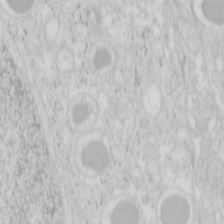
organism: Mouse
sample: Pancreas